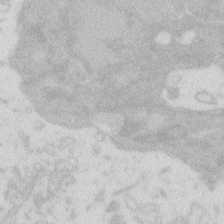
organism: Zebrafish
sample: Macrophage